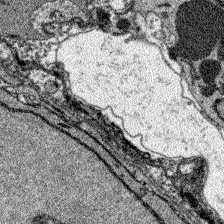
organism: Zebrafish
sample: Larval olfactory bulb